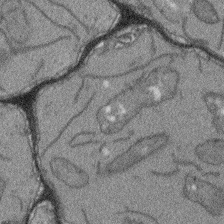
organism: Arabidopsis thaliana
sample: Root tip